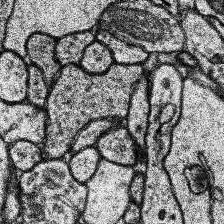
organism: Human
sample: Temporal Lobe